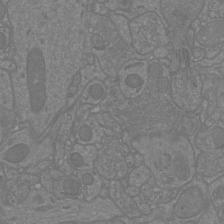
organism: Mouse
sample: Cortical neurons